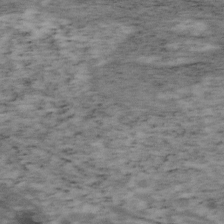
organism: Mouse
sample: OT-I killer T cells with ID8 ovarian cancer cells